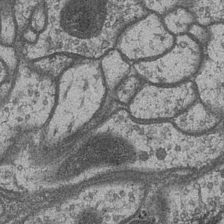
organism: Drosophila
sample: Optic medulla